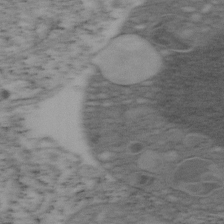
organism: Mouse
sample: OT-I killer T cells with ID8 ovarian cancer cells